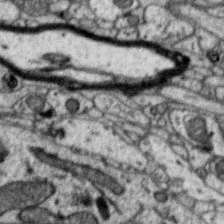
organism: Zebra finch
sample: Brain